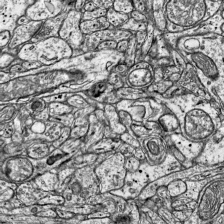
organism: Mouse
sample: Visual Cortex